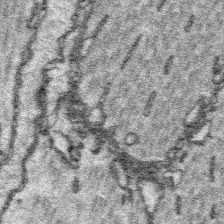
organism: Platynereis dumerilii